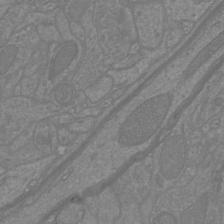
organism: Mouse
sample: Cortical neurons